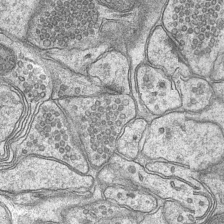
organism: Mouse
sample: CA1 Hippocampus